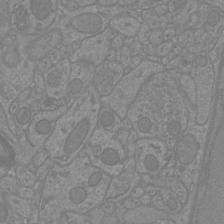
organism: Mouse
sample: Cortical neurons